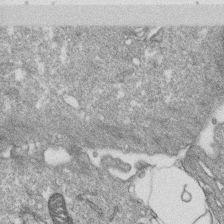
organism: African green monkey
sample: Vero E6 cells infected with SARS-CoV-2